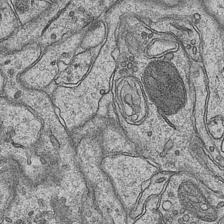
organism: Mouse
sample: CA1 Hippocampus